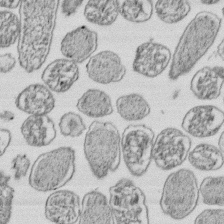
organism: E. coli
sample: Bacterial nucleoid